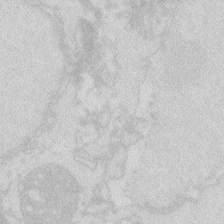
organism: Zebrafish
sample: Macrophage